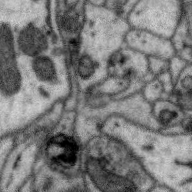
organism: Zebra finch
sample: Brain